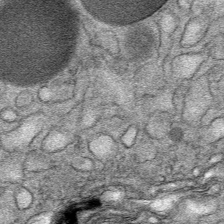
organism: Mouse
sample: Mouse Salivary gland